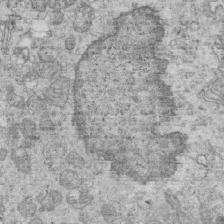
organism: Mouse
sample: Multiciliated cells